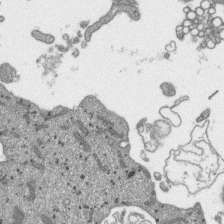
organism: Human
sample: Lung epithelial cells infected with SARS-CoV-2